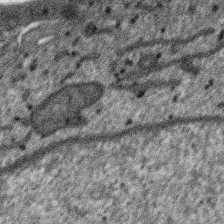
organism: Human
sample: Lung epithelial cells infected with SARS-CoV-2